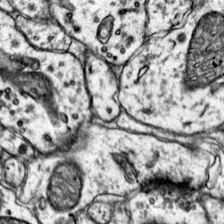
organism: Mouse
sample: Primary visual cortex